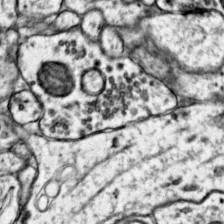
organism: Mouse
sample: Primary visual cortex